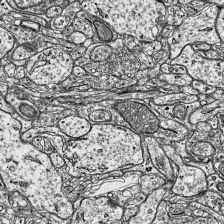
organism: Mouse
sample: Visual Cortex